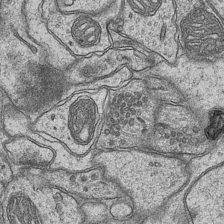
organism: Mouse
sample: CA1 Hippocampus